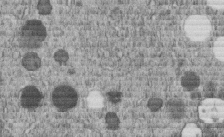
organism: C. elegans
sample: C. elegans embryo early stage